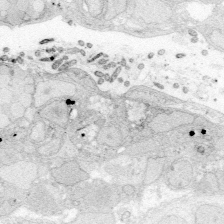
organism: Zebrafish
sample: Whole-Brain